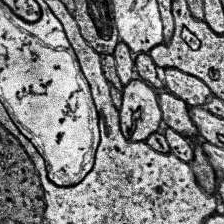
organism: Human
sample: Temporal Lobe